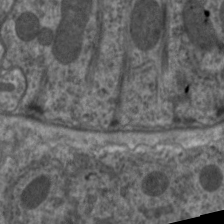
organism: C. elegans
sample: Pharynx